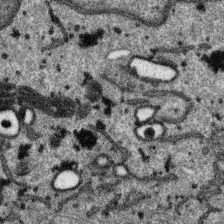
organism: Human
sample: Lung epithelial cells infected with SARS-CoV-2